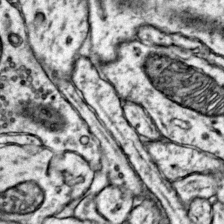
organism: Mouse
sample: Primary visual cortex